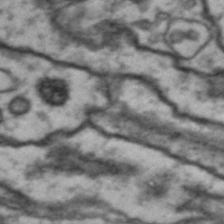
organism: Drosophila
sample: Brain